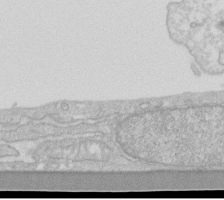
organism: Human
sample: Fibroblast cells